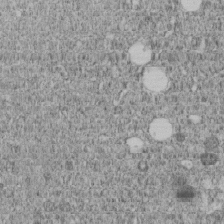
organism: C. elegans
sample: C. elegans embryo early stage